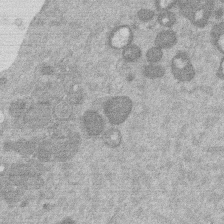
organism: Mouse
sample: Dividing mouse embryo 1 cell stage